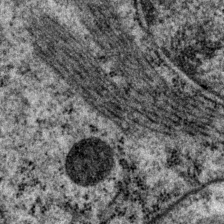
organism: P. pacificus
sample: Pharynx